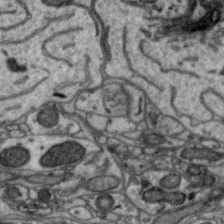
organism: Zebra finch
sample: Brain